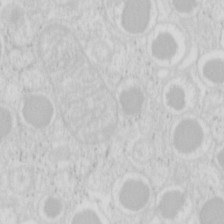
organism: Mouse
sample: Pancreas